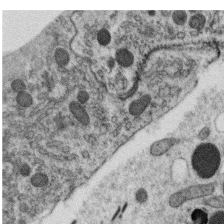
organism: C. elegans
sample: C. elegans oocyte; sperm cells